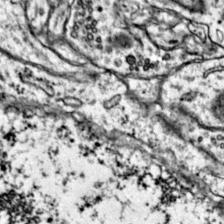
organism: Mouse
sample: Primary visual cortex